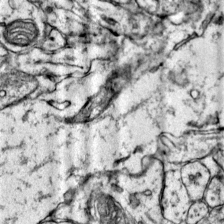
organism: Mouse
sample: Primary visual cortex